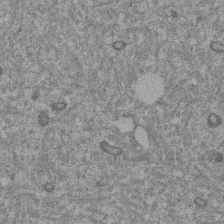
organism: Mouse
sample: Dividing mouse embryo 1 cell stage